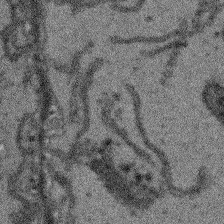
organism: Arabidopsis thaliana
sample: Root tip